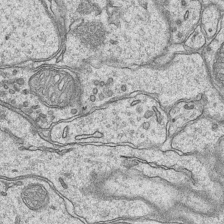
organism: Mouse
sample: CA1 Hippocampus